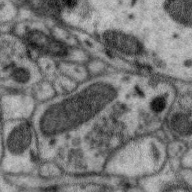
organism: Zebra finch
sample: Brain